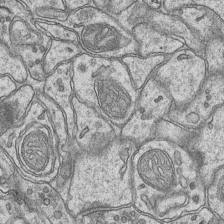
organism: Mouse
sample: CA1 Hippocampus